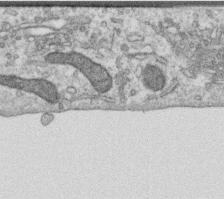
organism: Human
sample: Centriole in RPE cells